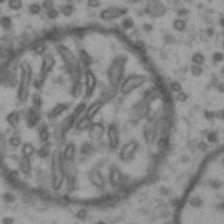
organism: Drosophila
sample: Brain